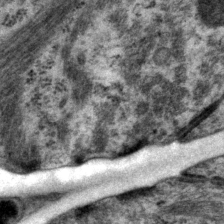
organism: P. pacificus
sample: Pharynx